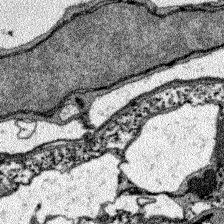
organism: Zebrafish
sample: Larval olfactory bulb